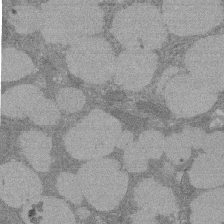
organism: Rat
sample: Salivary granule